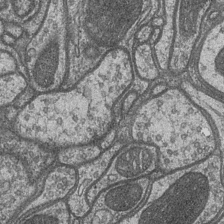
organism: Drosophila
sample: Optic medulla